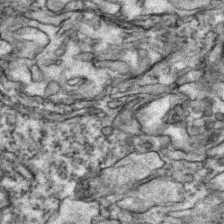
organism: Zebrafish